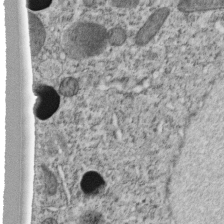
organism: C. elegans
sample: C. elegans embryo early stage